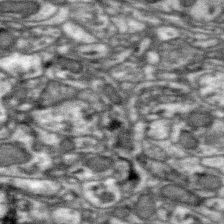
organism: Zebra finch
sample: Brain